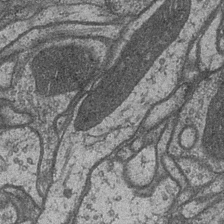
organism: Drosophila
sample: Optic medulla